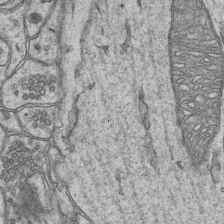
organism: Mouse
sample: CA1 Hippocampus